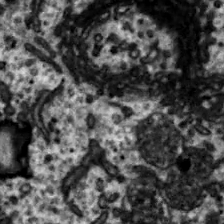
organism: Human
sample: HeLa cells